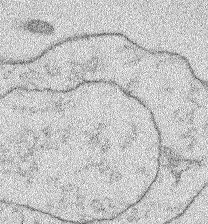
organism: Human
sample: HeLa cells